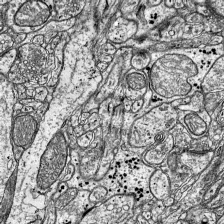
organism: Mouse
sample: Visual Cortex